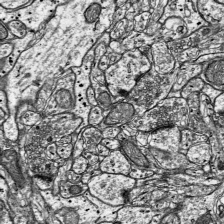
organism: Mouse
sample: Visual Cortex